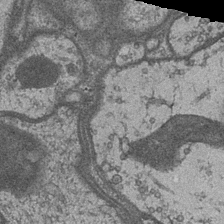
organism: Drosophila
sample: Optic medulla